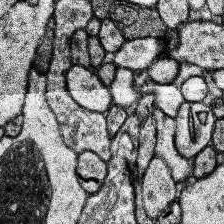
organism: Human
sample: Temporal Lobe